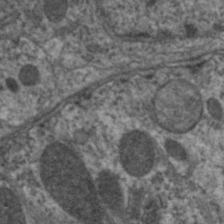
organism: C. elegans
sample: Pharynx